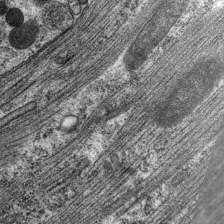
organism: C. elegans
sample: Pharynx